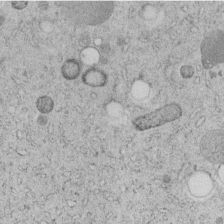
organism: C. elegans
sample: C. elegans embryo early stage